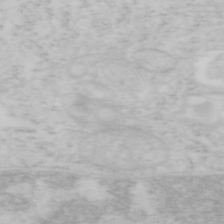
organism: Mouse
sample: OT-I killer T cells with ID8 ovarian cancer cells